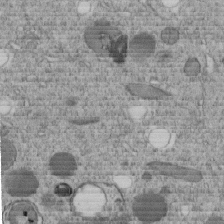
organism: C. elegans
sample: C. elegans embryo early stage